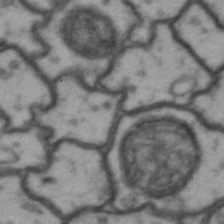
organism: Drosophila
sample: Brain